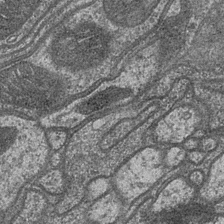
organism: Drosophila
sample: Optic medulla